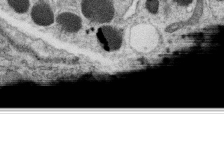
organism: C. elegans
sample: C. elegans oocyte; sperm cells